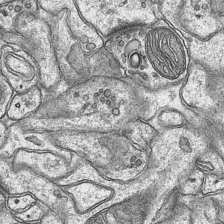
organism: Mouse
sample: CA1 Hippocampus